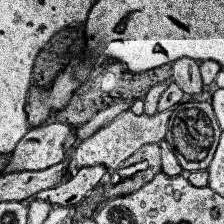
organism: Human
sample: Temporal Lobe